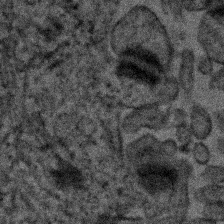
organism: Human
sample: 1205lu cells